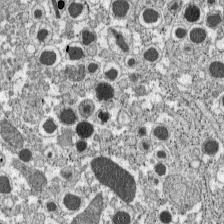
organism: C57BL Mouse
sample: Pancreatic islet